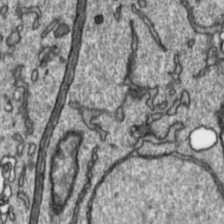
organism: Toxoplasma gondii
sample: Parasites in a vacuole inside a host cell